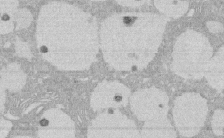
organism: Rat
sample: Salivary granule